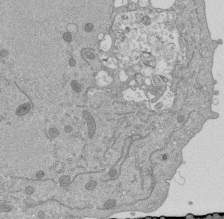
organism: Mouse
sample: ED-1 cell nuclei; centrioles